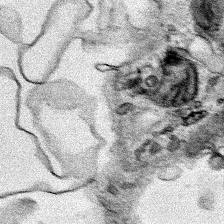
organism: Human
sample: Mitochondria in HCT116 cells